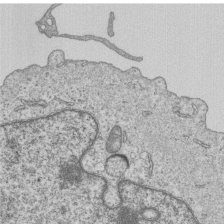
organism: Human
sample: MDA-MB-231 cells